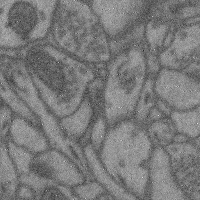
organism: Mouse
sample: Cerebral cortex